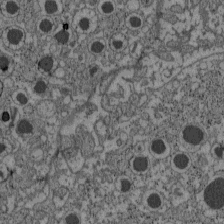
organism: C57BL Mouse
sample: Pancreatic islet